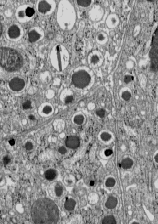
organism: C57BL Mouse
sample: Pancreatic islet